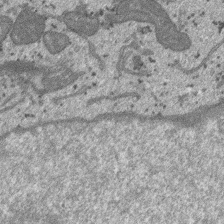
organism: Human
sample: Lung epithelial cells infected with SARS-CoV-2